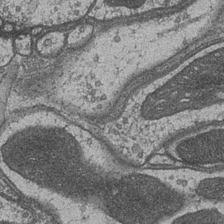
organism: Drosophila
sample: Optic medulla